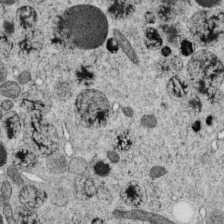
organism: C. elegans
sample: C. elegans oocyte; sperm cells